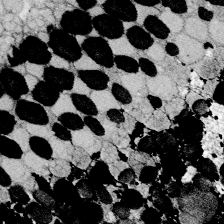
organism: Zebrafish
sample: Whole-Brain